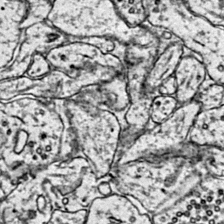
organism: Mouse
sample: Primary visual cortex